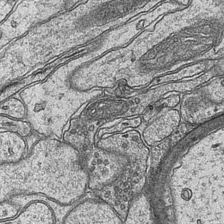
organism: Mouse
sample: CA1 Hippocampus